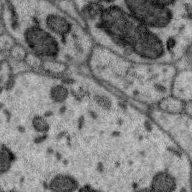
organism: Zebra finch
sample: Brain